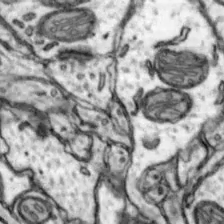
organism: Mouse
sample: Nucleus accumbens